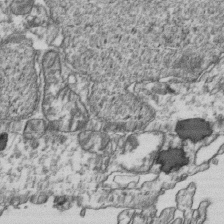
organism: Human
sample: Activated Jurkat CD4+ T cells